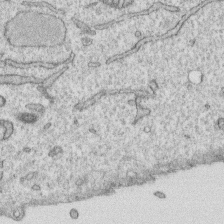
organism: Human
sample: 1205lu cells